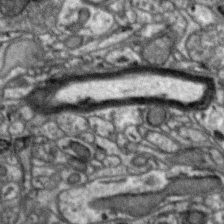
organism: Zebra finch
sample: Brain